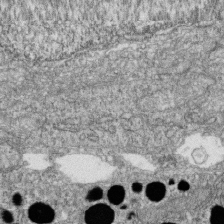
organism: Zebrafish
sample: Cilia; retinal pigment epithelium